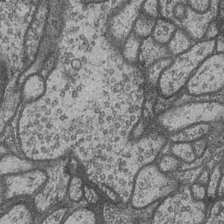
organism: Drosophila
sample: Optic medulla